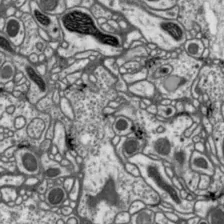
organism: Drosophila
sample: Protocerebral bridge